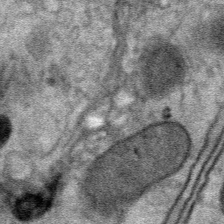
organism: Mouse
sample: Mouse Salivary gland